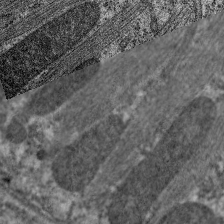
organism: C. elegans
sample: Pharynx